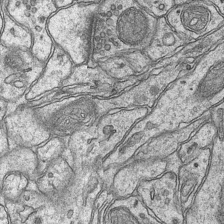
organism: Mouse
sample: CA1 Hippocampus